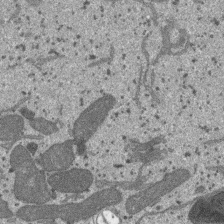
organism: Human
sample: Lung epithelial cells infected with SARS-CoV-2